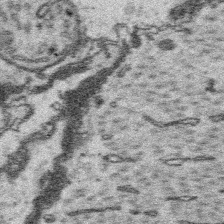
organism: Platynereis dumerilii